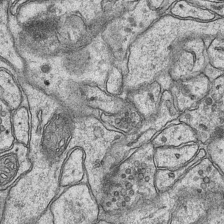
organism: Mouse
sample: CA1 Hippocampus